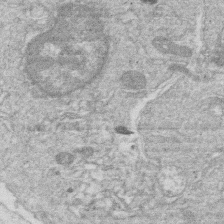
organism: Human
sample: Macrophage cells